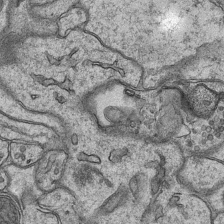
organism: Mouse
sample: CA1 Hippocampus